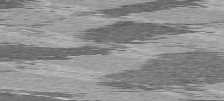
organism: C57BL Mouse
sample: Heart